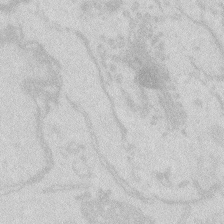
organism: Zebrafish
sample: Macrophage